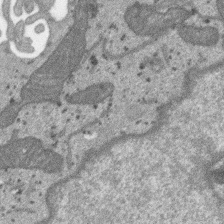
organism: Human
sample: Lung epithelial cells infected with SARS-CoV-2